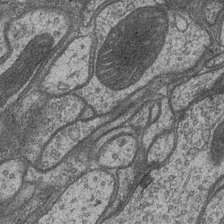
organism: Drosophila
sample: Optic medulla